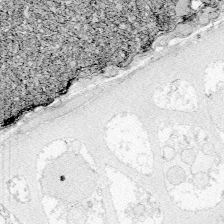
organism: Zebrafish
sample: Whole-Brain